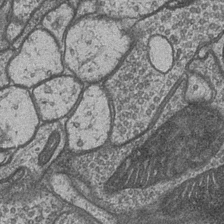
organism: Drosophila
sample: Optic medulla